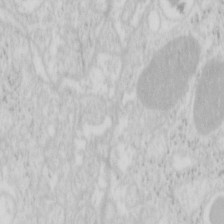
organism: Mouse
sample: Pancreas